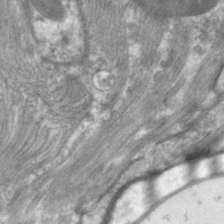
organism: C. elegans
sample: Pharynx